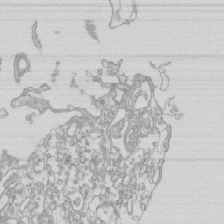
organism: Mouse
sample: Macrophages